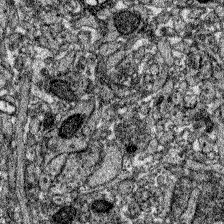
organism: Zebrafish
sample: Larval olfactory bulb